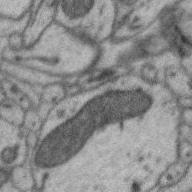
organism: Zebra finch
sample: Brain